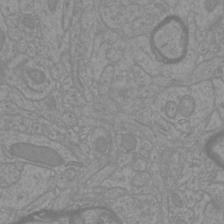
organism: Mouse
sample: Cortical neurons